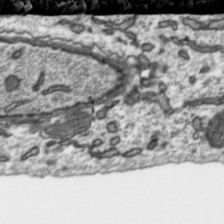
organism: Toxoplasma gondii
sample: Parasites in a vacuole inside a host cell